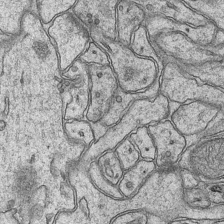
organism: Mouse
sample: CA1 Hippocampus